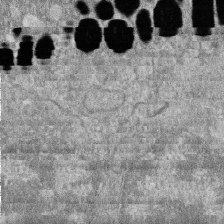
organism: Zebrafish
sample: Cilia; retinal pigment epithelium